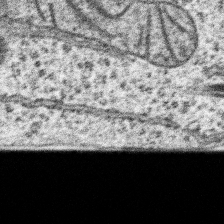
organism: Human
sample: HeLa cells